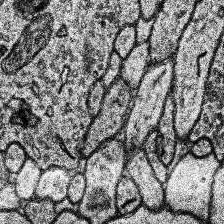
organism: Human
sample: Temporal Lobe